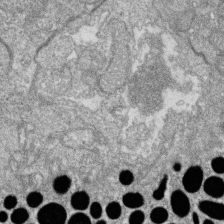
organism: Zebrafish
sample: Cilia; retinal pigment epithelium